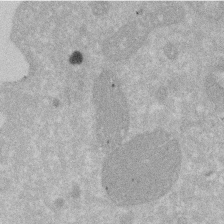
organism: Human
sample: HIV infected U937 cells